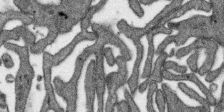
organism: Human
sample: Lung epithelial cells, uninfected (mock) control